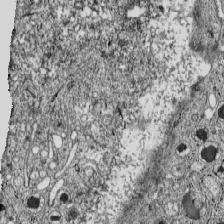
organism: C57BL Mouse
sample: Pancreatic islet